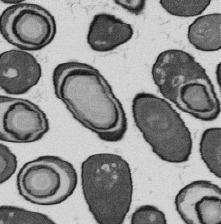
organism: B. subtilis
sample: Bacterial spore